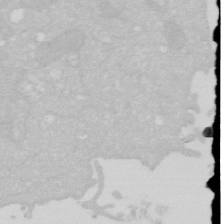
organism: Human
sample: HIV infected U937 cells